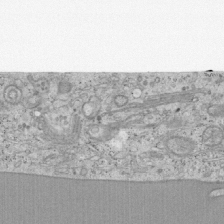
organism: Human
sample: HeLa cells